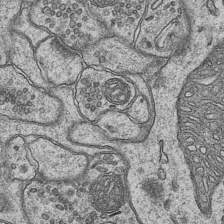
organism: Mouse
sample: CA1 Hippocampus